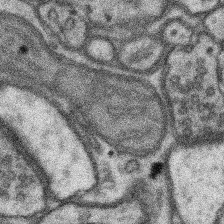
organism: Mouse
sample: Somatosensory cortex neuropil